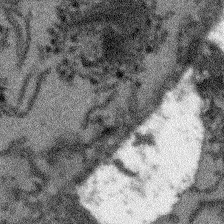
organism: Arabidopsis thaliana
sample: Root tip